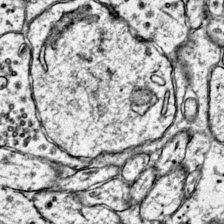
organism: Mouse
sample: Primary visual cortex